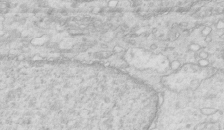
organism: Mouse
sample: Multiciliated cells